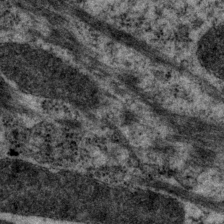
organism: P. pacificus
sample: Pharynx